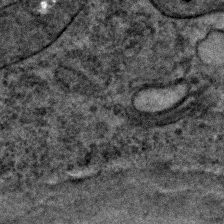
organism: C. elegans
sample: C. elegans embryo